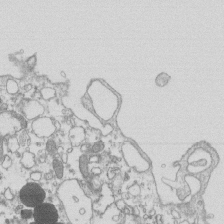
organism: Mouse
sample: Macrophages